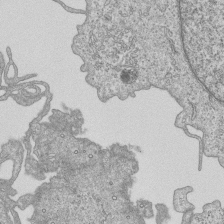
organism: Human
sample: MDA-MB-231 cells